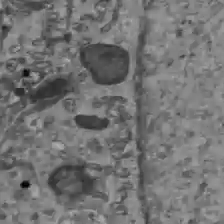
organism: C57BL Mouse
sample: Liver